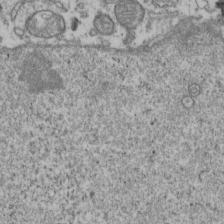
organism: Human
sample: Activated Jurkat CD4+ T cells